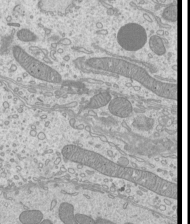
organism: Mouse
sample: Cilia; mouse epididymis